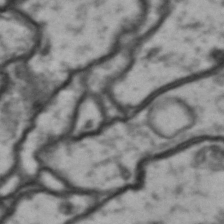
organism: Drosophila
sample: Brain